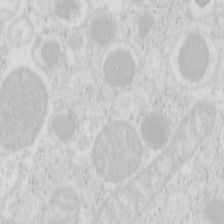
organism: Mouse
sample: Pancreas